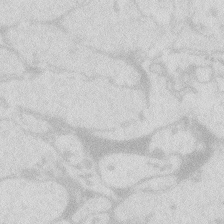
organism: Zebrafish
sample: Macrophage